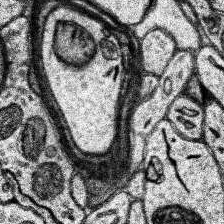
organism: Human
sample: Temporal Lobe